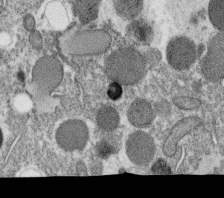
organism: C. elegans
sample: C. elegans oocyte; sperm cells